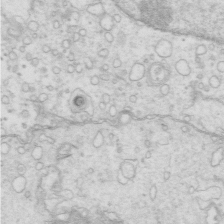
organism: Mouse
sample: Multiciliated cells